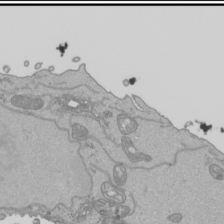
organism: Human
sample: Mitochondria in HCT116 cells